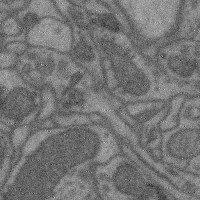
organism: Mouse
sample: Cerebral cortex